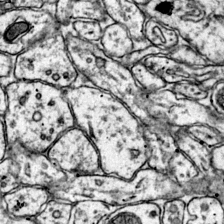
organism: Mouse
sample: Primary visual cortex